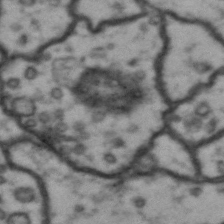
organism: Drosophila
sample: Brain